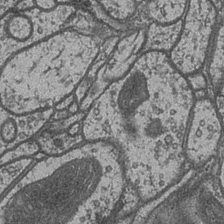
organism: Drosophila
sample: Optic medulla